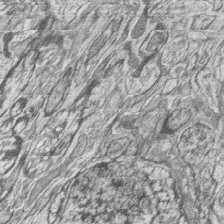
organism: Zebrafish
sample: synaptic ribbons in rod cells and cone cells